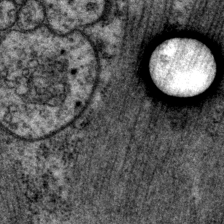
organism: P. pacificus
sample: Pharynx